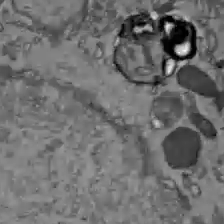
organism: C57BL Mouse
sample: Liver